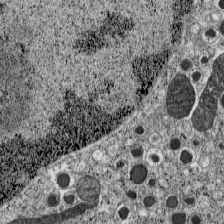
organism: C57BL Mouse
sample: Pancreatic islet